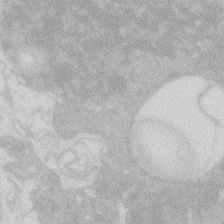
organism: Zebrafish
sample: Macrophage